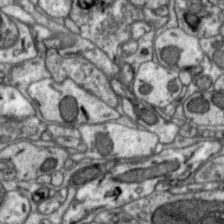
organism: Zebra finch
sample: Brain